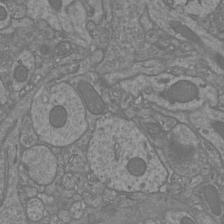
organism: Mouse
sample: Cortical neurons